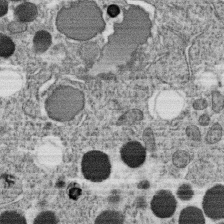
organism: C. elegans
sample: C. elegans oocyte; sperm cells